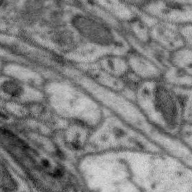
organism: Zebra finch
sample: Brain